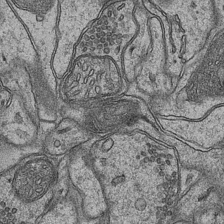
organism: Mouse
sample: CA1 Hippocampus